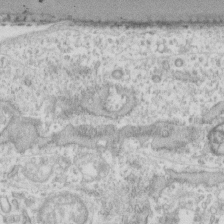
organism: Human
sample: Fibroblast cells